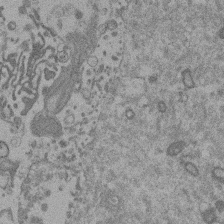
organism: Mouse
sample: Dividing mouse embryo 1 cell stage